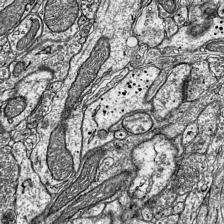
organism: Mouse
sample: Visual Cortex